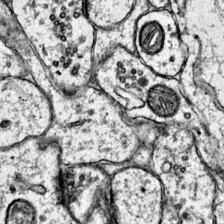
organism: Mouse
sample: Primary visual cortex